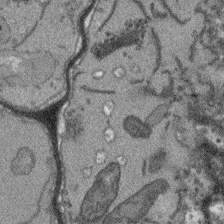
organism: Arabidopsis thaliana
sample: Root tip